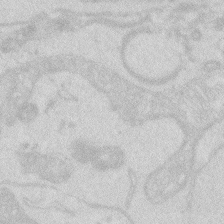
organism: Zebrafish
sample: Macrophage